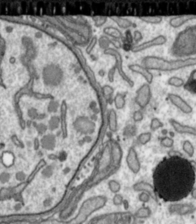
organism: Toxoplasma gondii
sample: Parasites in a vacuole inside a host cell